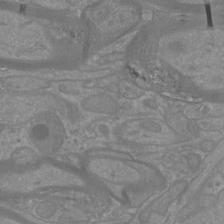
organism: Mouse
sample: Cortical neurons